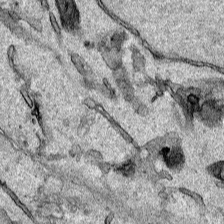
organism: Human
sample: Mitochondria in HCT116 cells